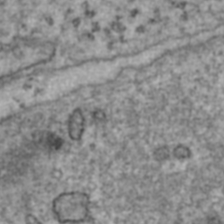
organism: Human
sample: Blood